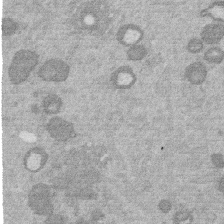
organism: Mouse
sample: Dividing mouse embryo 1 cell stage